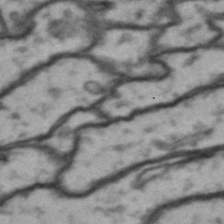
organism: Drosophila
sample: Brain